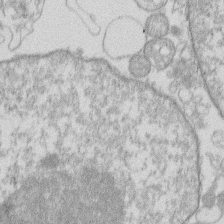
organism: Human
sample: Macrophage cells